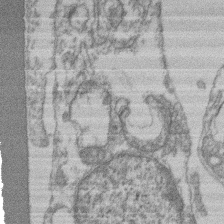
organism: Mouse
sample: T cell stromal cell synapse